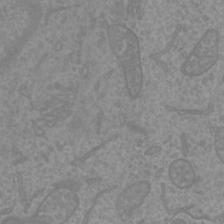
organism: Mouse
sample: Cortical neurons